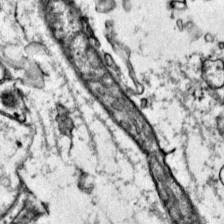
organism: Mouse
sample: Primary visual cortex